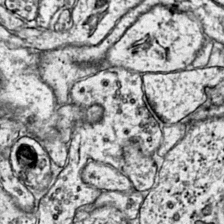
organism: Mouse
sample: Primary visual cortex